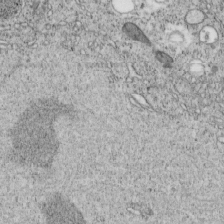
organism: C. elegans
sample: C. elegans embryo early stage